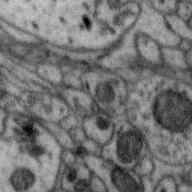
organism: Zebra finch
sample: Brain